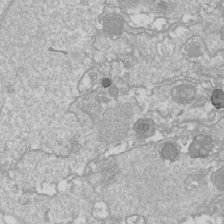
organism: Drosophila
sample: Cell division; meiosis; drosophila spermatocytes